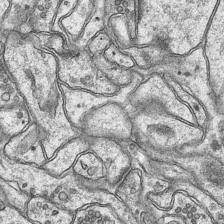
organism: Mouse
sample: CA1 Hippocampus